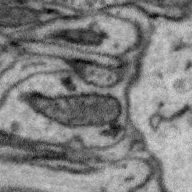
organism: Zebra finch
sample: Brain